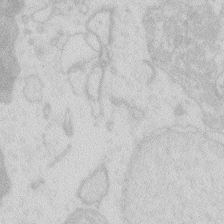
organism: Zebrafish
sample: Macrophage